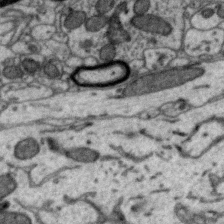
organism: Zebra finch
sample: Brain